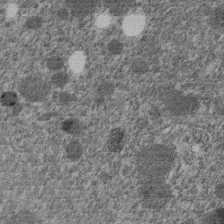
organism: C. elegans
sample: C. elegans embryo early stage